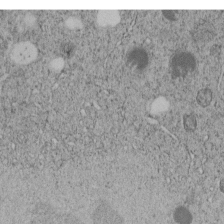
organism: C. elegans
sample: C. elegans embryo early stage